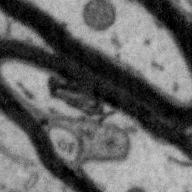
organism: Zebra finch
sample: Brain